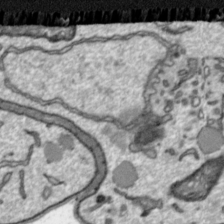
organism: Toxoplasma gondii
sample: Parasites in a vacuole inside a host cell